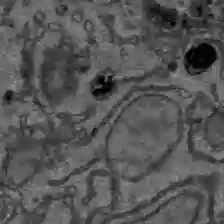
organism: C57BL Mouse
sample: Liver